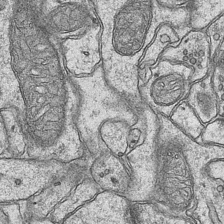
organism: Mouse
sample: CA1 Hippocampus